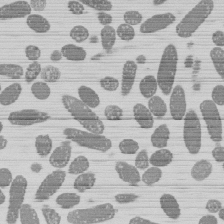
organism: E. coli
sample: Bacterial nucleoid